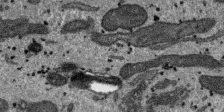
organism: Human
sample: Lung epithelial cells, uninfected (mock) control